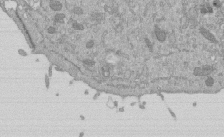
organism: Mouse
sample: ED-1 cell nuclei; centrioles